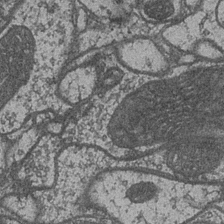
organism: Drosophila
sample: Optic medulla